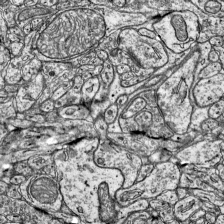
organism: Mouse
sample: Visual Cortex